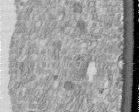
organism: Human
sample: Centriole in fibroblast cells